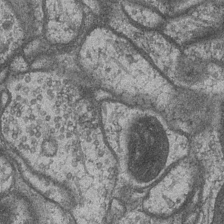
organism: Drosophila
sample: Optic medulla